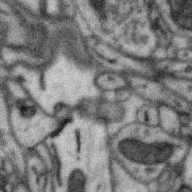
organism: Zebra finch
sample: Brain